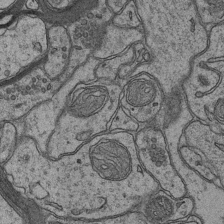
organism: Mouse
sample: CA1 Hippocampus